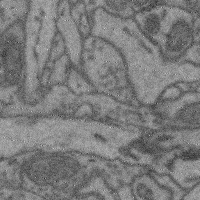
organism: Mouse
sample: Cerebral cortex